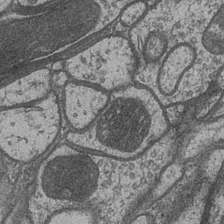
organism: Drosophila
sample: Optic medulla